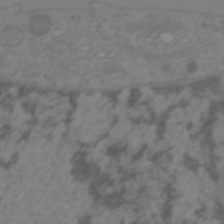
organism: Human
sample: HeLa cells